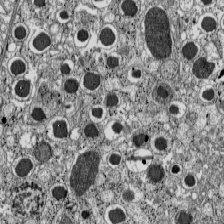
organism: C57BL Mouse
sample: Pancreatic islet